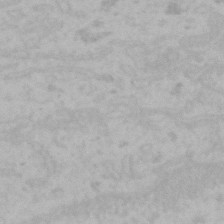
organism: Mouse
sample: Choroid plexus